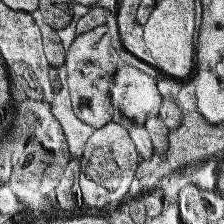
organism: Human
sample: Temporal Lobe